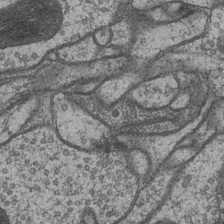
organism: Drosophila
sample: Optic medulla